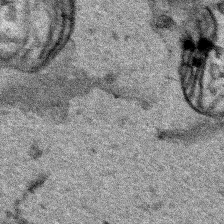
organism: Human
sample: Mitochondria in HCT116 cells